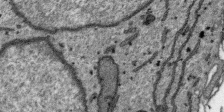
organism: Human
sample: Lung epithelial cells, uninfected (mock) control